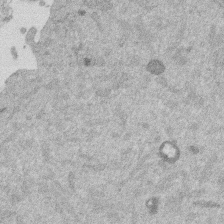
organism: Mouse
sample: Dividing mouse embryo 1 cell stage